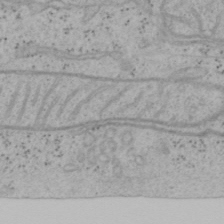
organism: Human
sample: HeLa cells